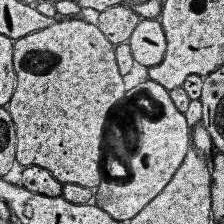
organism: Human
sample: Temporal Lobe